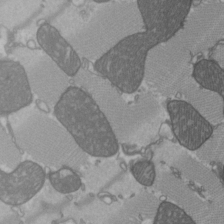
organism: C57BL Mouse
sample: Heart